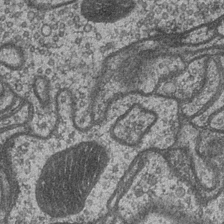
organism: Drosophila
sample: Optic medulla